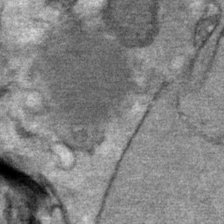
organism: Mouse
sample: Mouse Salivary gland